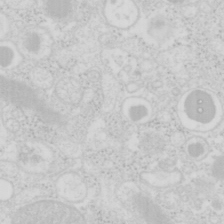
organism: Mouse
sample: Pancreas